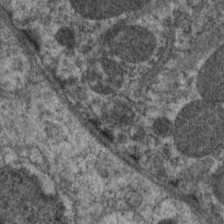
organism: C. elegans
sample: Pharynx